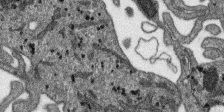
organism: Human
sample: Lung epithelial cells infected with SARS-CoV-2